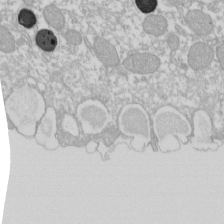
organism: Xenopus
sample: Cilia; centrioles in frog embryo cells